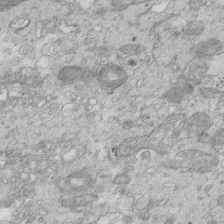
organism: Mouse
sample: Multiciliated cells